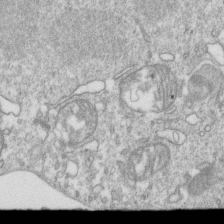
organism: Mouse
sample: Activated OT-1 CD8+ T cells